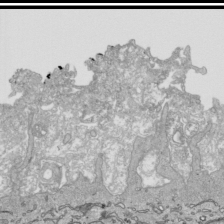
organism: Human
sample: Mitochondria in HCT116 cells